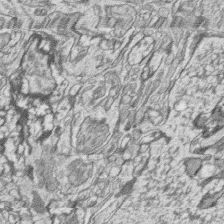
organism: Zebrafish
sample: synaptic ribbons in rod cells and cone cells